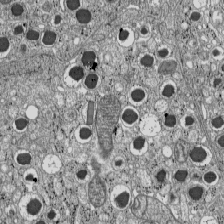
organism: C57BL Mouse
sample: Pancreatic islet